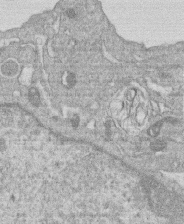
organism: Human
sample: Macrophage cells